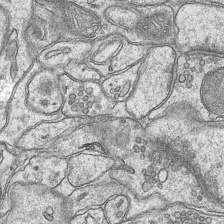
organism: Mouse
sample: CA1 Hippocampus